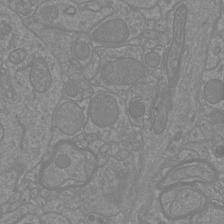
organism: Mouse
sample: Cortical neurons